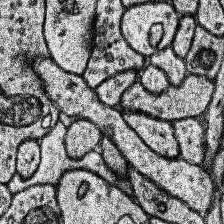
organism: Human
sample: Temporal Lobe